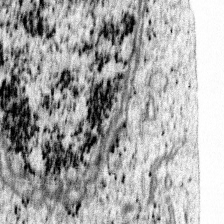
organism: Human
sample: HeLa cells